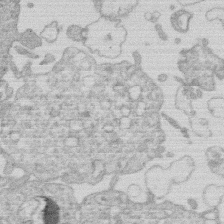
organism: Human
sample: Macrophage cells